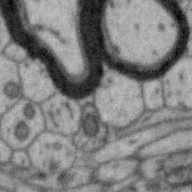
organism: Zebra finch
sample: Brain